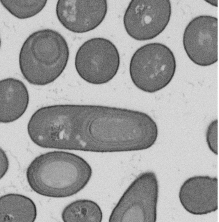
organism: B. subtilis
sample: Bacterial spore